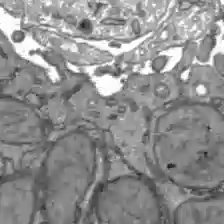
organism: C57BL Mouse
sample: Liver